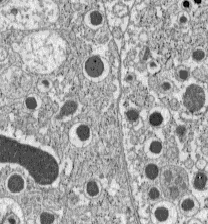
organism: C57BL Mouse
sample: Pancreatic islet